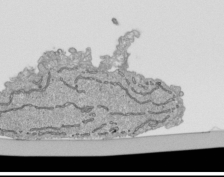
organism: Human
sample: Mitochondria in HCT116 cells